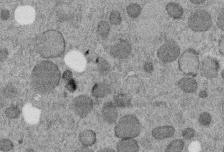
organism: C. elegans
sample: C. elegans embryo early stage